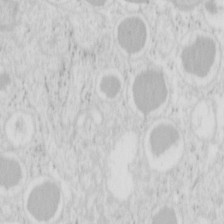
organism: Mouse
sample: Pancreas